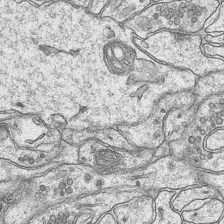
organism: Mouse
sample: CA1 Hippocampus